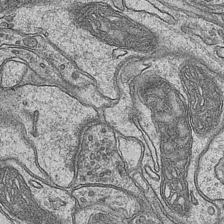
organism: Mouse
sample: CA1 Hippocampus